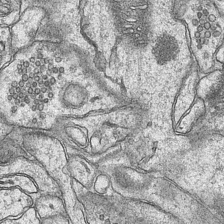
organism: Mouse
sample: CA1 Hippocampus